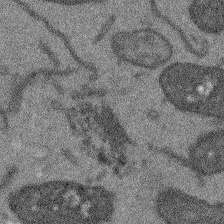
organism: Arabidopsis thaliana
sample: Root tip